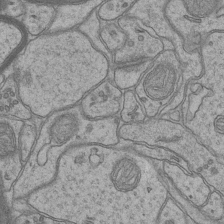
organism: Mouse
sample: CA1 Hippocampus